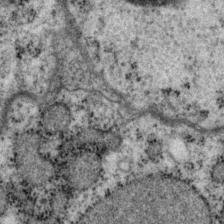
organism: P. pacificus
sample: Pharynx